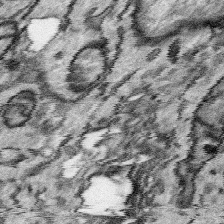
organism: Human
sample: HeLa cells